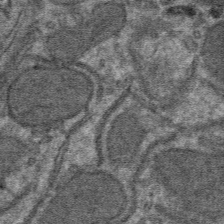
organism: Mouse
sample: Mouse hepatocytes